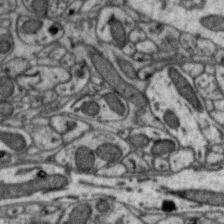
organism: Zebra finch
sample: Brain